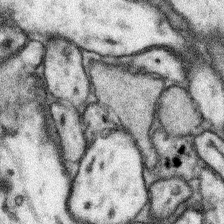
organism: Mouse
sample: Somatosensory cortex neuropil